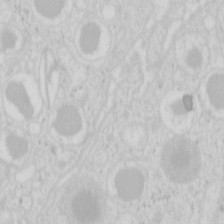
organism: Mouse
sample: Pancreas